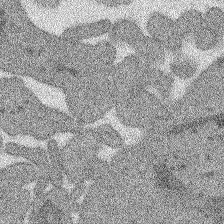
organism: Human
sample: HeLa cells